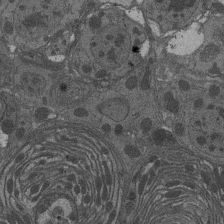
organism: Drosophila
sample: Antenna